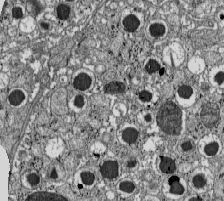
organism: C57BL Mouse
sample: Pancreatic islet